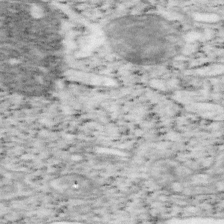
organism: Mouse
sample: OT-I killer T cells with ID8 ovarian cancer cells